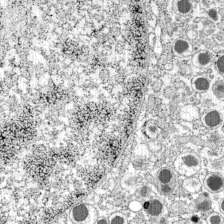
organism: C57BL Mouse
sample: Pancreatic islet